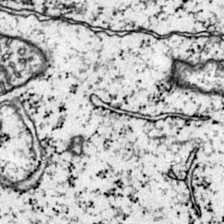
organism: Mouse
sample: Primary visual cortex